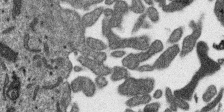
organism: Human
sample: Lung epithelial cells infected with SARS-CoV-2